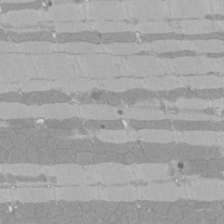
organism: Rat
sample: Left ventricle